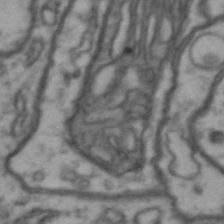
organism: Drosophila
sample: Brain